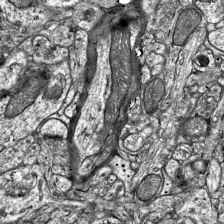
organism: Mouse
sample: Visual Cortex